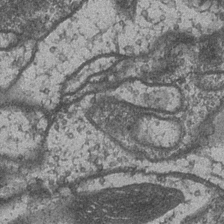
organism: Drosophila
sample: Optic medulla